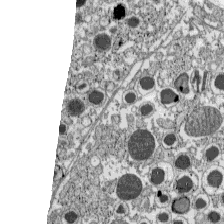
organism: C57BL Mouse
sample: Pancreatic islet